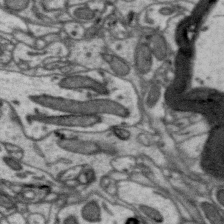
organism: Zebra finch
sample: Brain